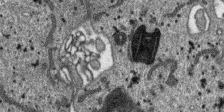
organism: Human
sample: Lung epithelial cells infected with SARS-CoV-2